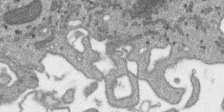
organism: Human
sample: Lung epithelial cells infected with SARS-CoV-2